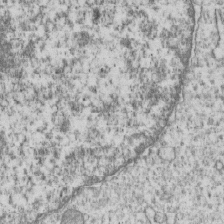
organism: Human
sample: MDA-MB-231 cells